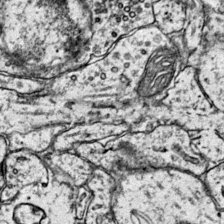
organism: Mouse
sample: Primary visual cortex